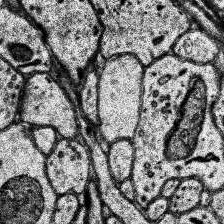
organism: Human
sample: Temporal Lobe